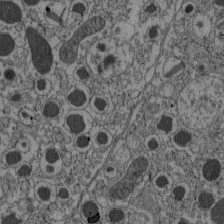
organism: C57BL Mouse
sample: Pancreatic islet